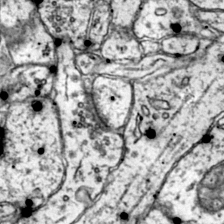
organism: Mouse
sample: Primary visual cortex